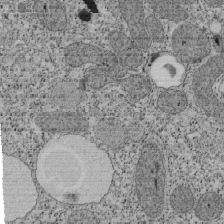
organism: Tetrahymena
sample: Cilia in tetrahymena